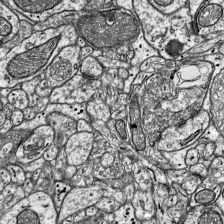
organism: Mouse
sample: Visual Cortex